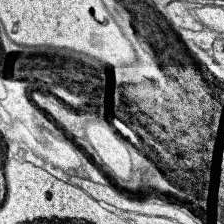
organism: Human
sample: Temporal Lobe